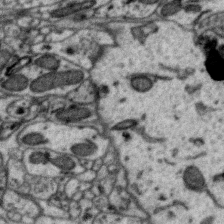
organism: Zebra finch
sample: Brain